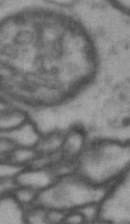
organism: Drosophila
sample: Brain